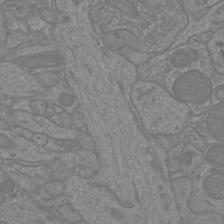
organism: Mouse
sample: Cortical neurons